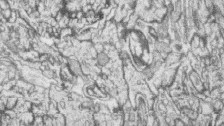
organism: Zebrafish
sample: synaptic ribbons in rod cells and cone cells